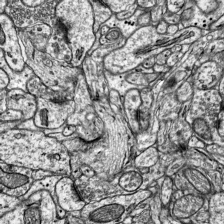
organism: Mouse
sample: Visual Cortex